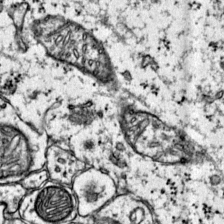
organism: Mouse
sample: Primary visual cortex